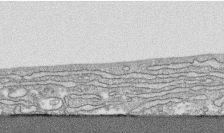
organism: Human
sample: CRL-1474